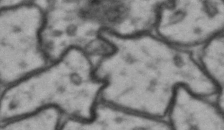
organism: Drosophila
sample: Brain